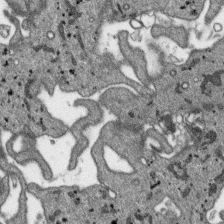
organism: Human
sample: Lung epithelial cells, uninfected (mock) control